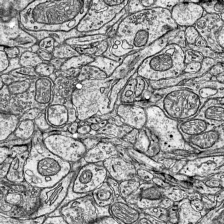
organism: Mouse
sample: Visual Cortex